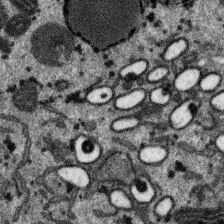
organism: Human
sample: Lung epithelial cells infected with SARS-CoV-2